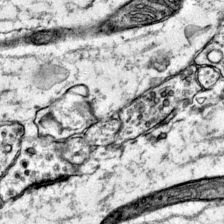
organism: Mouse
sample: Primary visual cortex